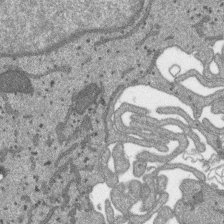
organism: Human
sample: Lung epithelial cells infected with SARS-CoV-2